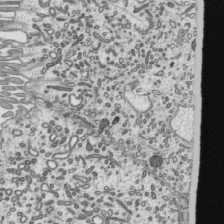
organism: Mouse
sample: Mouse epididymis efferent ductule cilia